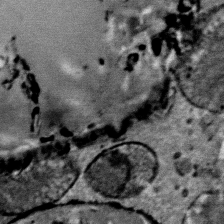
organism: Mouse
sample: Mouse Salivary gland